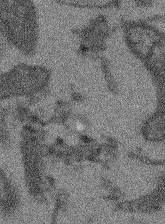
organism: Arabidopsis thaliana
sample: Root tip